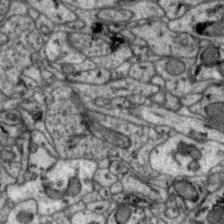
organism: Zebra finch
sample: Brain